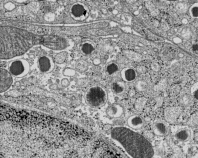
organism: C57BL Mouse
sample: Pancreatic islet